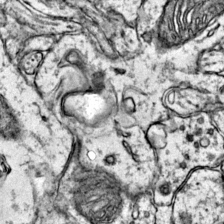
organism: Mouse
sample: Primary visual cortex